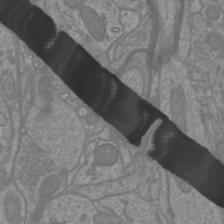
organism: Mouse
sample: Cortical neurons